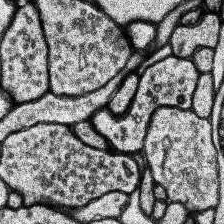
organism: Human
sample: Temporal Lobe